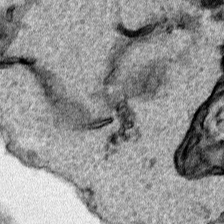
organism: Human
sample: Mitochondria in HCT116 cells